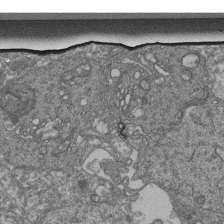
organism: Human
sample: Retinal organoid Rod and Cone cells